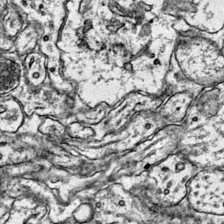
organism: Mouse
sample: Primary visual cortex